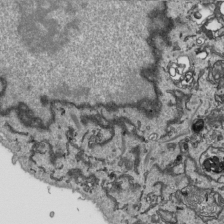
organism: Human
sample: Mitochondria in HCT116 cells